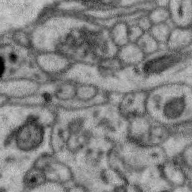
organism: Zebra finch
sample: Brain